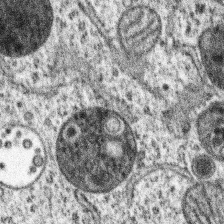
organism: Human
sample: HeLa cells